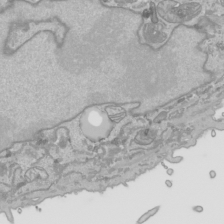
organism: Human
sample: Mitochondria in HCT116 cells